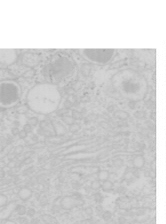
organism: Mouse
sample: Pancreas